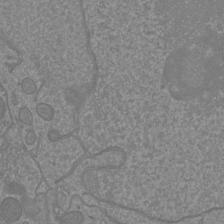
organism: Mouse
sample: Cortical neurons